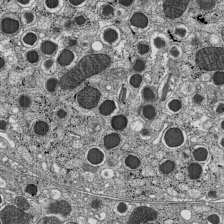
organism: C57BL Mouse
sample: Pancreatic islet